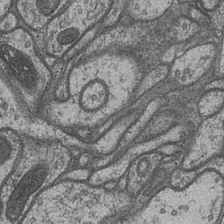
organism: Drosophila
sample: Optic medulla